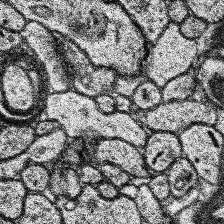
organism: Human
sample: Temporal Lobe